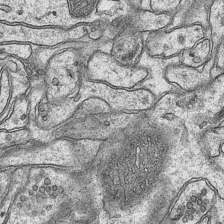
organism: Mouse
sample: CA1 Hippocampus